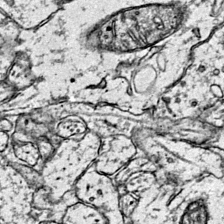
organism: Mouse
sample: Primary visual cortex